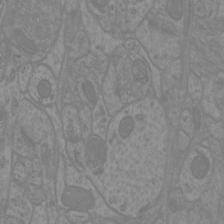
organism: Mouse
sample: Cortical neurons